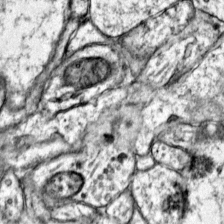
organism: Mouse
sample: Primary visual cortex